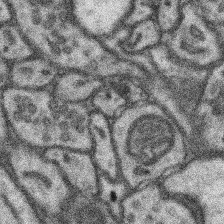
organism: Mouse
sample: Somatosensory cortex neuropil